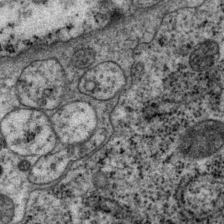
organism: P. pacificus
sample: Pharynx